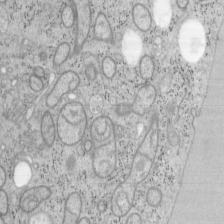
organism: Mouse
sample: OT-I killer T cells with ID8 ovarian cancer cells